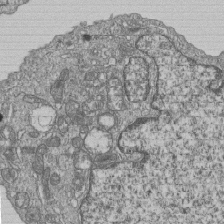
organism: Human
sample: MDA-MB-231 cells